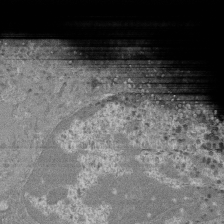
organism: Mouse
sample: Glomerulus